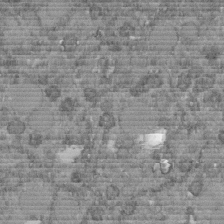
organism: C. elegans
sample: C. elegans embryo early stage